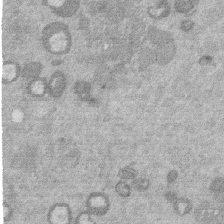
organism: Mouse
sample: Dividing mouse embryo 1 cell stage